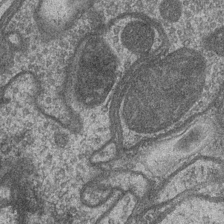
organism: Drosophila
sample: Optic medulla